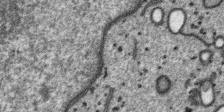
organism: Human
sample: Lung epithelial cells infected with SARS-CoV-2